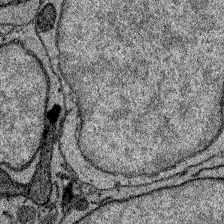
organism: Zebrafish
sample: Larval olfactory bulb